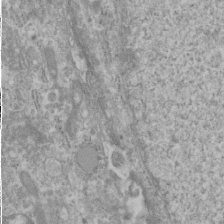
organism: Human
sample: Cilia; basal body in RPE cells